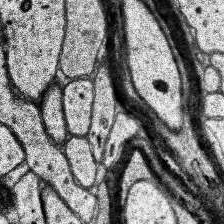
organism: Human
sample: Temporal Lobe